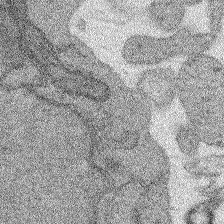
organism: Human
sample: HeLa cells